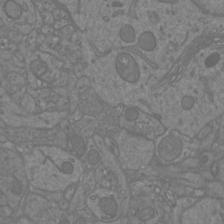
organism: Mouse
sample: Cortical neurons